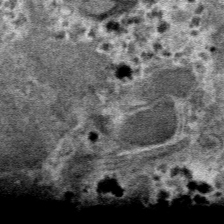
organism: Mouse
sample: Mouse hepatocytes